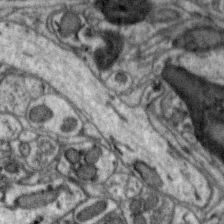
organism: Zebra finch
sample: Brain